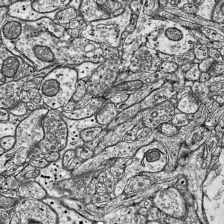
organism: Mouse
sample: Visual Cortex